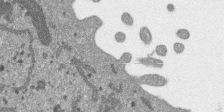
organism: Human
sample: Lung epithelial cells infected with SARS-CoV-2